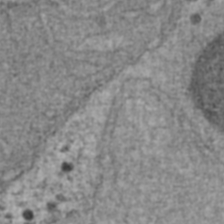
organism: Human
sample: Blood